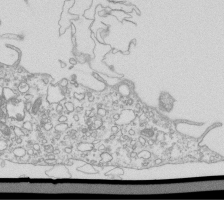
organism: Mouse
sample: Macrophages